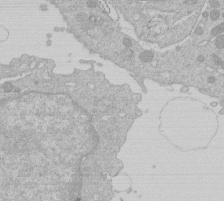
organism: Human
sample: Macrophage cells